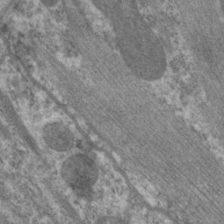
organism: C. elegans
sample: Pharynx